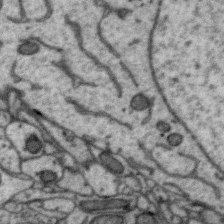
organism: Zebra finch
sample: Brain